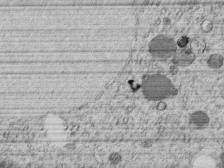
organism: C. elegans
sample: C. elegans embryo early stage